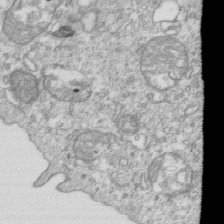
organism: Mouse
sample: Activated OT-1 CD8+ T cells